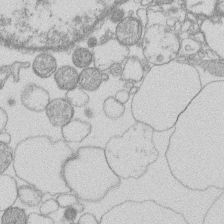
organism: Human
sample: Macrophage cells